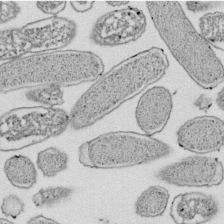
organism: E. coli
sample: Bacterial nucleoid